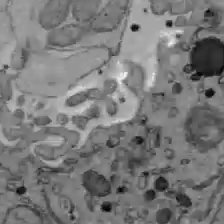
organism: C57BL Mouse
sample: Liver